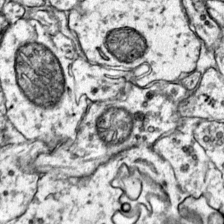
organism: Mouse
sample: Primary visual cortex